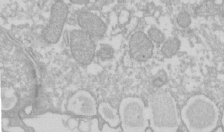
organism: Xenopus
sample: Cilia; centrioles in frog embryo cells